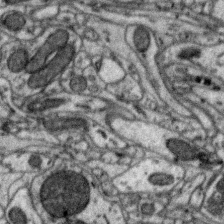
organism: Zebra finch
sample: Brain